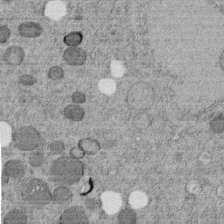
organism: C. elegans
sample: C. elegans embryo early stage